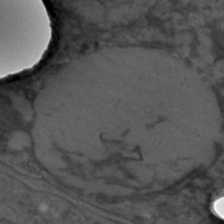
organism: C. elegans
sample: C. elegans embryo